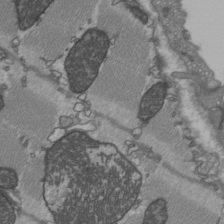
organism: C57BL Mouse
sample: Heart